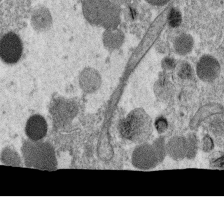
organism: C. elegans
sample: C. elegans oocyte; sperm cells